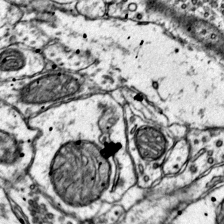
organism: Mouse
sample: Primary visual cortex